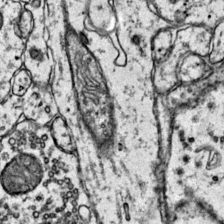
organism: Mouse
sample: Primary visual cortex